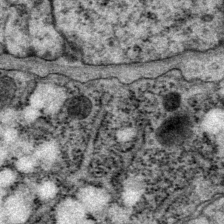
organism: P. pacificus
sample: Pharynx